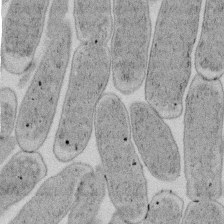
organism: E. coli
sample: Bacterial nucleoid